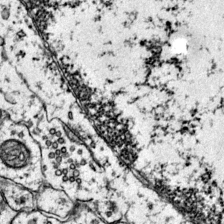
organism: Mouse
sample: Primary visual cortex